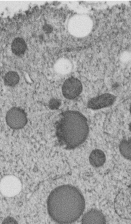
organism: C. elegans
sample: C. elegans embryo early stage